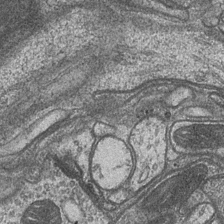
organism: Drosophila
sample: Optic medulla